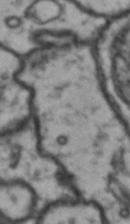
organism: Drosophila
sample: Brain